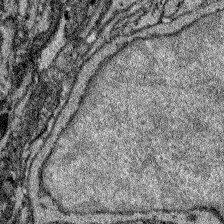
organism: Zebrafish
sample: Larval olfactory bulb